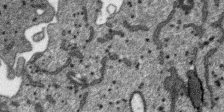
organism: Human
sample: Lung epithelial cells infected with SARS-CoV-2